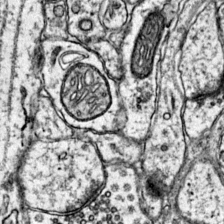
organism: Mouse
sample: Primary visual cortex